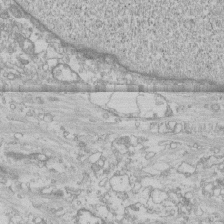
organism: Human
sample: CRL-1474